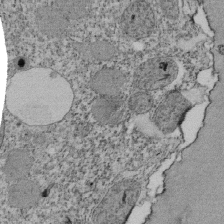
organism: Tetrahymena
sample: Cilia in tetrahymena